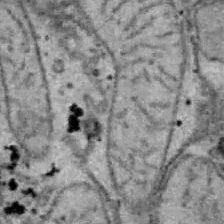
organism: Mouse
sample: Liver from an obese (ob/ob) mouse